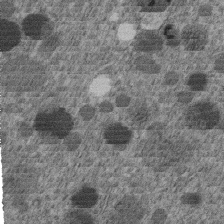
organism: C. elegans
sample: C. elegans embryo early stage